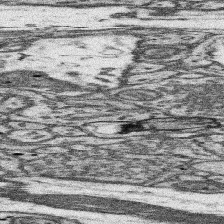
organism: Mouse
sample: Somatosensory cortex neuropil